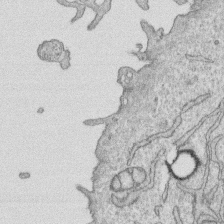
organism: Human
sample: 1205lu cells